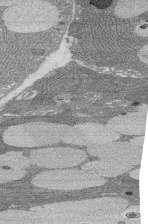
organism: Rat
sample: Salivary granule